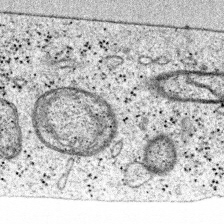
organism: Human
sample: HeLa cells